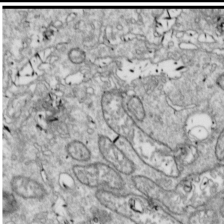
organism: Drosophila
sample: Cell division; meiosis; drosophila spermatocytes